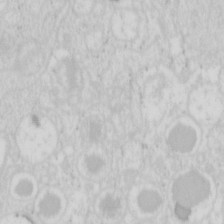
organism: Mouse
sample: Pancreas